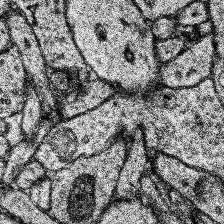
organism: Human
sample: Temporal Lobe